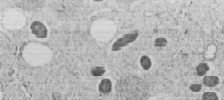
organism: C. elegans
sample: C. elegans embryo early stage